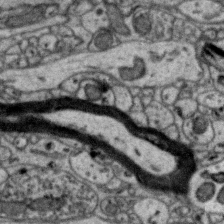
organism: Zebra finch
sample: Brain